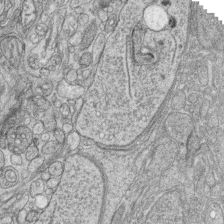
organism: Zebrafish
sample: synaptic ribbons in rod cells and cone cells